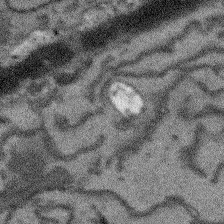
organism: Arabidopsis thaliana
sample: Root tip